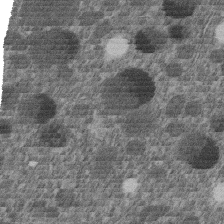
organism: C. elegans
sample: C. elegans embryo early stage